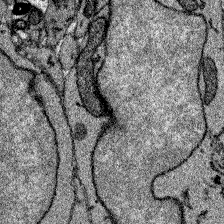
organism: Zebrafish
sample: Larval olfactory bulb